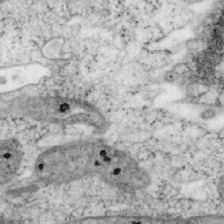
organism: Mouse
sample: OT-I killer T cells with ID8 ovarian cancer cells